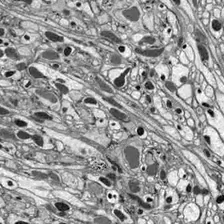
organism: Drosophila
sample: Optic lobe